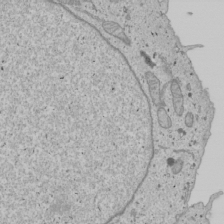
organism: Human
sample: Mitochondria in U2OS cells